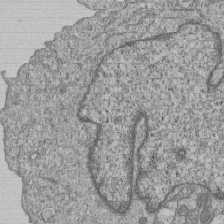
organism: Human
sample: MDA-MB-231 cells